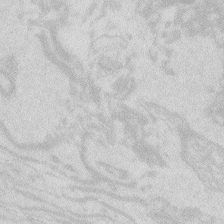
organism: Zebrafish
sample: Macrophage